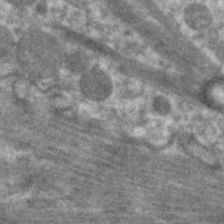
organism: C. elegans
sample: Pharynx